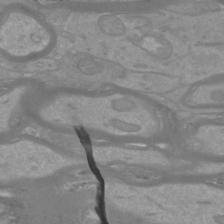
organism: Mouse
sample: Cortical neurons